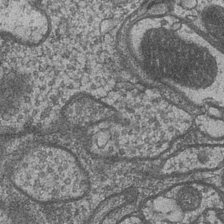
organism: Drosophila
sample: Optic medulla